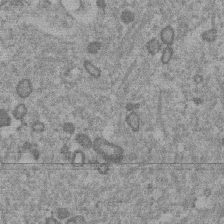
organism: Mouse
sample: Dividing mouse embryo 1 cell stage